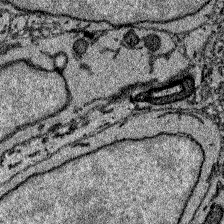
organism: Zebrafish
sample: Larval olfactory bulb